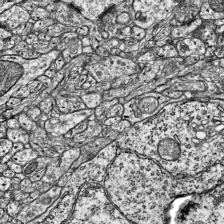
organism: Mouse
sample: Visual Cortex